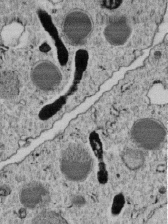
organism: C. elegans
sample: C. elegans embryo early stage